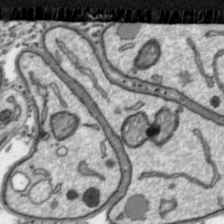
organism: Toxoplasma gondii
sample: Parasites in a vacuole inside a host cell